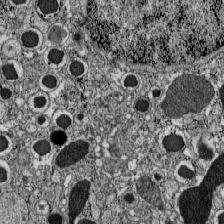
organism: C57BL Mouse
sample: Pancreatic islet